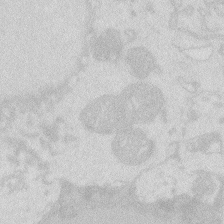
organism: Zebrafish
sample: Macrophage